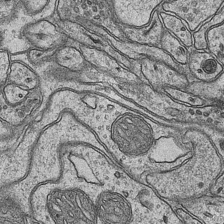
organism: Mouse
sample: CA1 Hippocampus